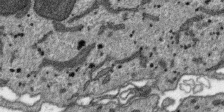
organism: Human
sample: Lung epithelial cells, uninfected (mock) control